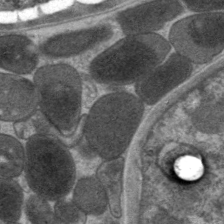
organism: C. elegans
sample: Pharynx